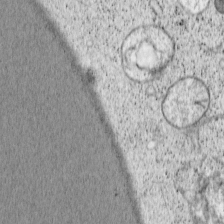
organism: African green monkey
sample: COS-7 cells